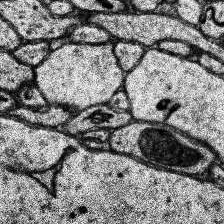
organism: Human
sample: Temporal Lobe